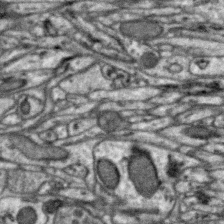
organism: Zebra finch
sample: Brain